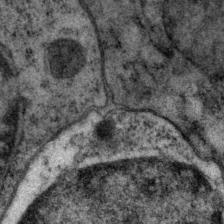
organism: P. pacificus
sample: Pharynx